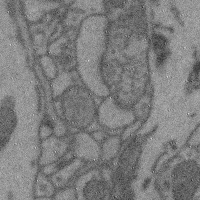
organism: Mouse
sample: Cerebral cortex